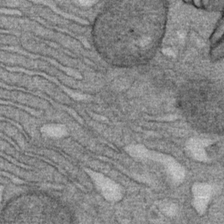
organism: Mouse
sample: Mouse Salivary gland